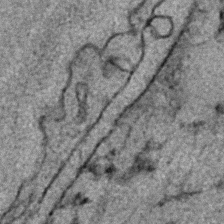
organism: C. elegans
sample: C. elegans embryo